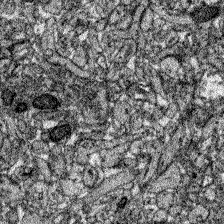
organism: Zebrafish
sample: Larval olfactory bulb